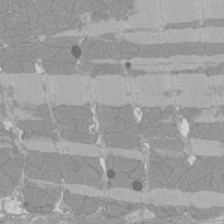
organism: Rat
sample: Left ventricle